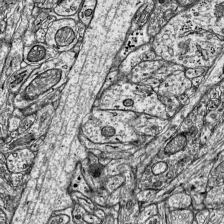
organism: Mouse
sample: Visual Cortex